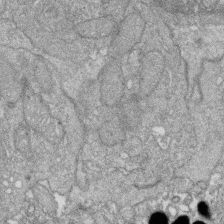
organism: Zebrafish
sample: Cilia; retinal pigment epithelium